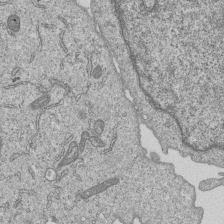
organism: Human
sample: MDA-MB-231 cells